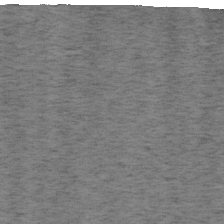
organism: Mouse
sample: OT-I killer T cells with ID8 ovarian cancer cells